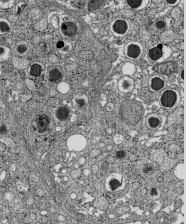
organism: C57BL Mouse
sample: Pancreatic islet